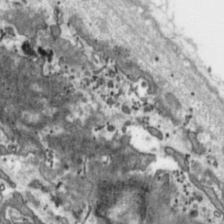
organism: Toxoplasma gondii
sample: Parasites in a vacuole inside a host cell